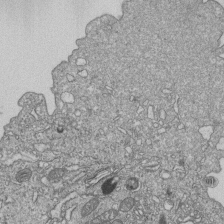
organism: Human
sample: MDA-MB-231 cells